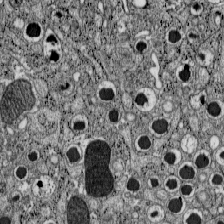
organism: C57BL Mouse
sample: Pancreatic islet